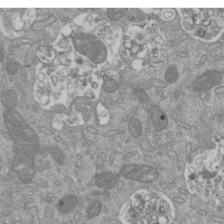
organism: Mouse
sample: ED-1 cell nuclei; centrioles